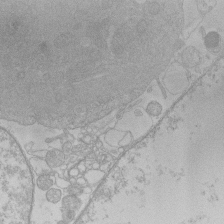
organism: Human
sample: Macrophage cells